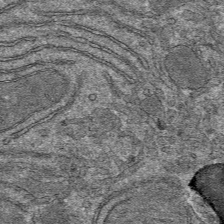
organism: Mouse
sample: Mouse hepatocytes